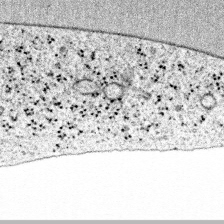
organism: Human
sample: HeLa cells